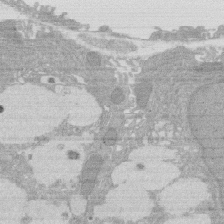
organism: Rat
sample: Salivary granule